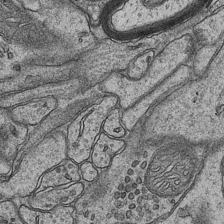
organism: Mouse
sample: CA1 Hippocampus